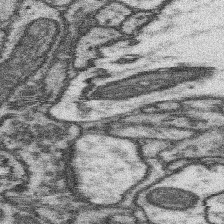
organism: Mouse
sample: Somatosensory cortex neuropil